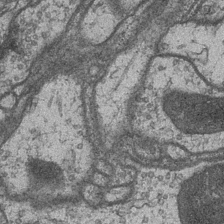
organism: Drosophila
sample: Optic medulla